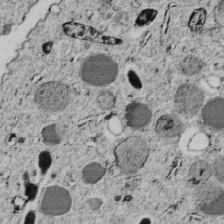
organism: C. elegans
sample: C. elegans embryo early stage